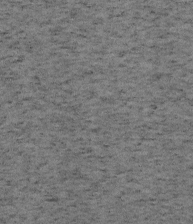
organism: Mouse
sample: OT-I killer T cells with ID8 ovarian cancer cells